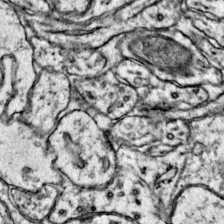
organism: Mouse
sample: Primary visual cortex